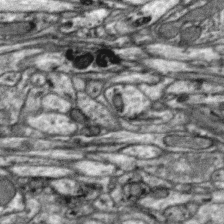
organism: Zebra finch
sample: Brain